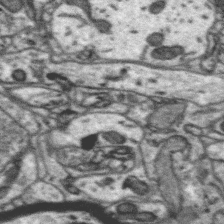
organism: Zebra finch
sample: Brain